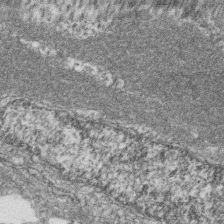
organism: Zebrafish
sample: Cilia; retinal pigment epithelium